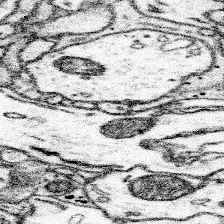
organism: Mouse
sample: Somatosensory cortex neuropil